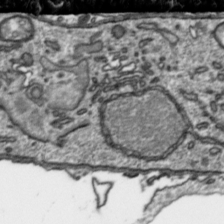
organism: Toxoplasma gondii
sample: Parasites in a vacuole inside a host cell